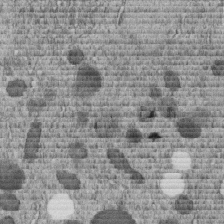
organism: C. elegans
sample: C. elegans embryo early stage